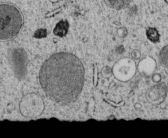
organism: C. elegans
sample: C. elegans embryo early stage